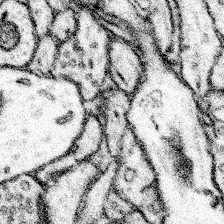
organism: Mouse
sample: Somatosensory cortex neuropil